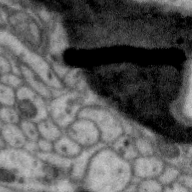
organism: Zebra finch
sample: Brain